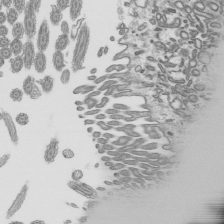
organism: Mouse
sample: Mouse epididymis efferent ductule cilia